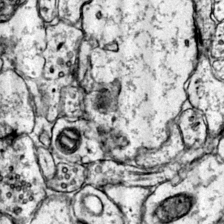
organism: Mouse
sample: Primary visual cortex